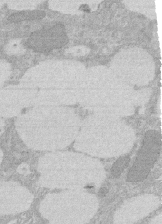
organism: Rat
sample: Salivary granule